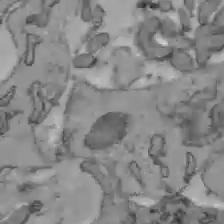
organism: C57BL Mouse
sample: Liver